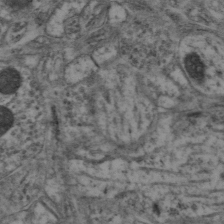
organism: Mouse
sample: Neocortex